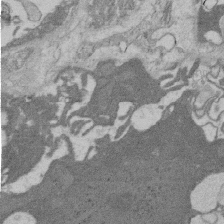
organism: Rat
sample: Salivary granule